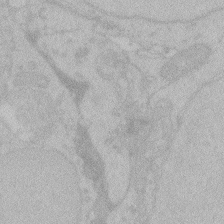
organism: Zebrafish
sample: Macrophage infected with Toxoplasma gondii